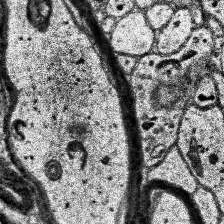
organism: Human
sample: Temporal Lobe